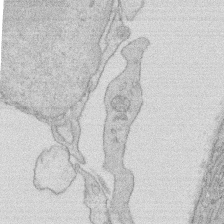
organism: Rat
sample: Salivary granule